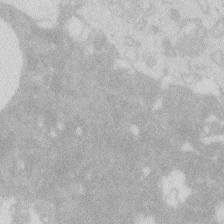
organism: Zebrafish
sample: Macrophage